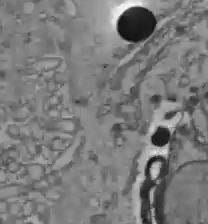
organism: C57BL Mouse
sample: Liver